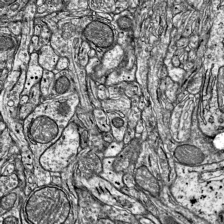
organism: Mouse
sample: Visual Cortex